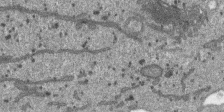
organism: Human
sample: Lung epithelial cells infected with SARS-CoV-2